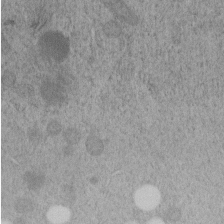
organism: C. elegans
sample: C. elegans embryo early stage